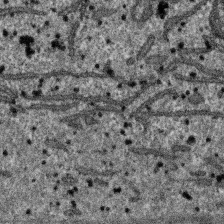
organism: Human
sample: Lung epithelial cells infected with SARS-CoV-2